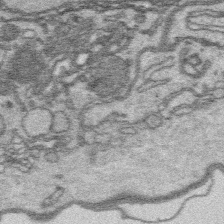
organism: Platynereis dumerilii